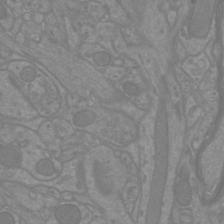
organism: Mouse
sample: Cortical neurons